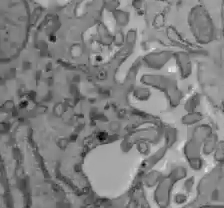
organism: C57BL Mouse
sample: Liver